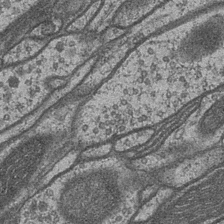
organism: Drosophila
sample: Optic medulla